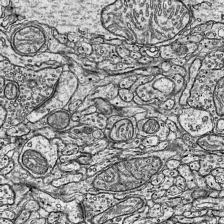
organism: Mouse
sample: Visual Cortex